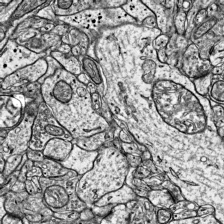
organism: Mouse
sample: Visual Cortex